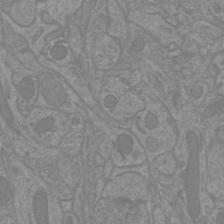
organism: Mouse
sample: Cortical neurons